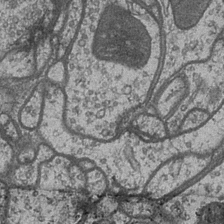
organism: Drosophila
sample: Optic medulla